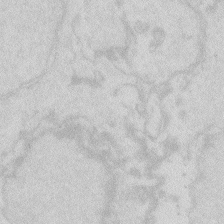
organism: Zebrafish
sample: Macrophage